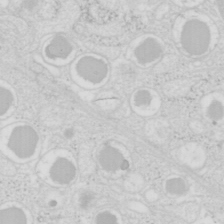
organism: Mouse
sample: Pancreas